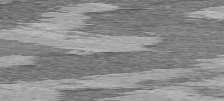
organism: C57BL Mouse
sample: Heart